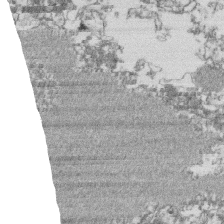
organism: Human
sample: HeLa cell HIV synapse